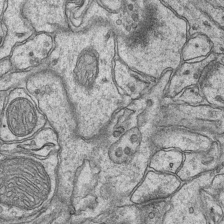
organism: Mouse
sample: CA1 Hippocampus